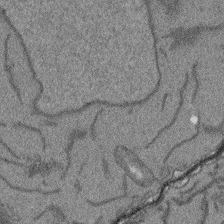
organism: Arabidopsis thaliana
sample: Root tip